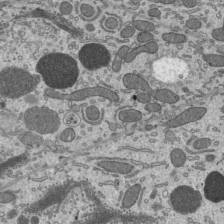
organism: Mouse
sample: Mouse epididymis efferent ductule cilia